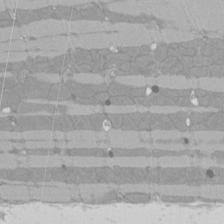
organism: Rat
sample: Left ventricle